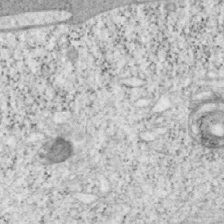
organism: Mouse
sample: OT-I killer T cells with ID8 ovarian cancer cells